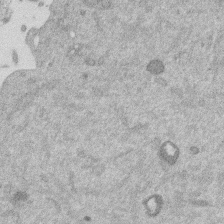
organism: Mouse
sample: Dividing mouse embryo 1 cell stage